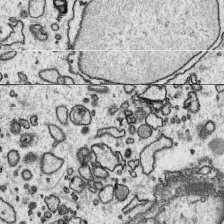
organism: Platynereis dumerilii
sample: Parapodia